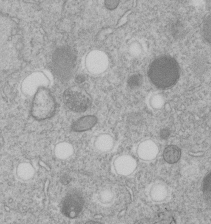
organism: C. elegans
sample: C. elegans embryo early stage